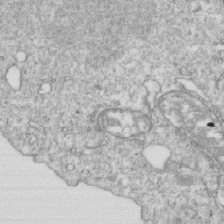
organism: Mouse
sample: Activated OT-1 CD8+ T cells